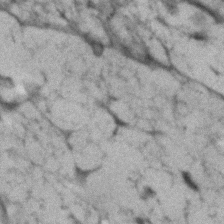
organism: Human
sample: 1205lu cells